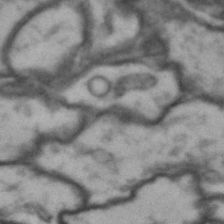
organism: Drosophila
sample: Brain